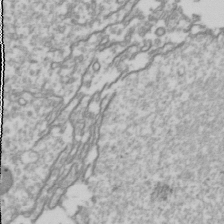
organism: Drosophila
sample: Cell division; meiosis; drosophila spermatocytes